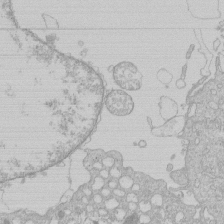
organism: Human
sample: Macrophage cells